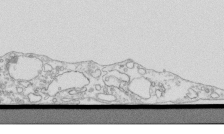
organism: Mouse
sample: Macrophages